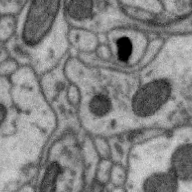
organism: Zebra finch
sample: Brain